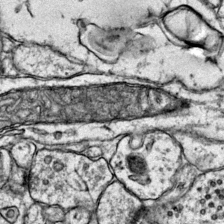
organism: Mouse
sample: Primary visual cortex